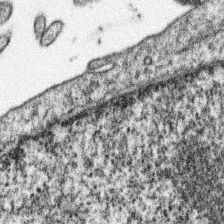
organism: Human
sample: HeLa cells